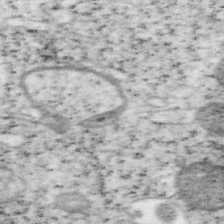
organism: Mouse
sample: OT-I killer T cells with ID8 ovarian cancer cells